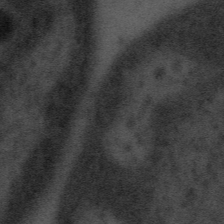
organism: Tuwongella immobilis